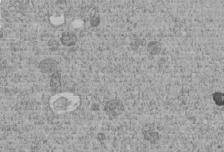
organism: C. elegans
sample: C. elegans embryo early stage